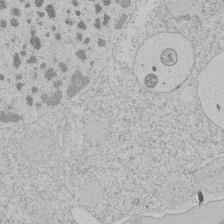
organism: Tetrahymena